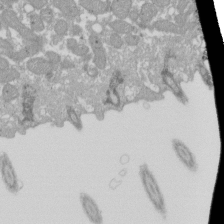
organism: Xenopus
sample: Cilia; centrioles in frog embryo cells